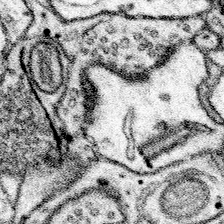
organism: Mouse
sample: Somatosensory cortex neuropil